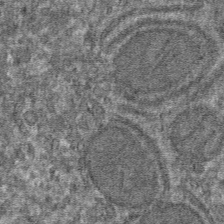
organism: Mouse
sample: Mouse hepatocytes